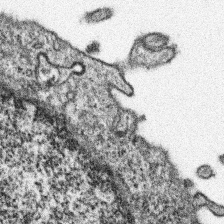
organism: Human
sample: HeLa cells